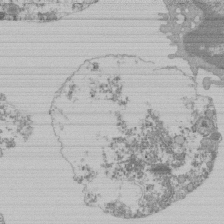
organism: Mouse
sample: Activated Pmel transgenic CD8+ T Cells